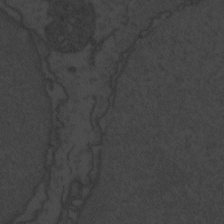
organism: Zebrafish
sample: Macrophage infected with Toxoplasma gondii